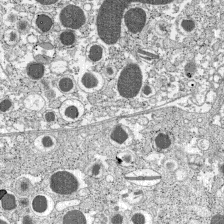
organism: C57BL Mouse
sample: Pancreatic islet